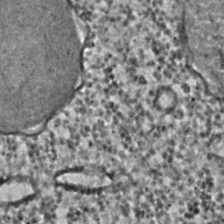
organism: C. elegans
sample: C. elegans embryo